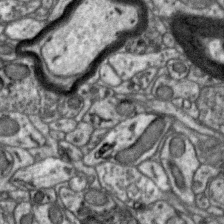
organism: Zebra finch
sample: Brain